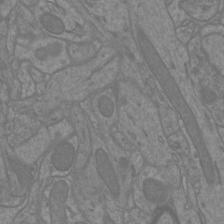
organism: Mouse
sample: Cortical neurons